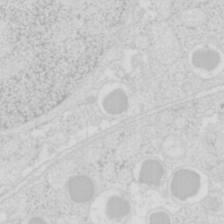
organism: Mouse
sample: Pancreas